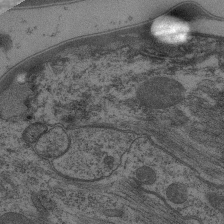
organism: C. elegans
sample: Pharynx